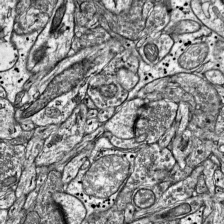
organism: Mouse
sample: Visual Cortex